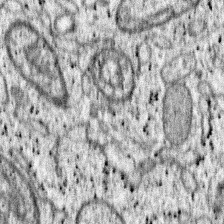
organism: Human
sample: HeLa cells